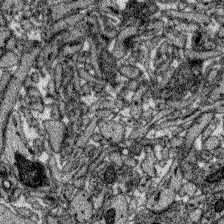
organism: Zebrafish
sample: Larval olfactory bulb